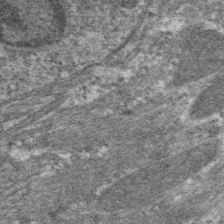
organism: C. elegans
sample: Pharynx